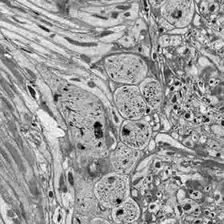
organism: Drosophila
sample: Optic lobe